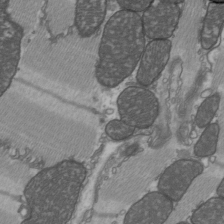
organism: C57BL Mouse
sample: Heart